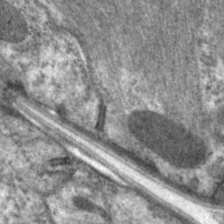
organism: C. elegans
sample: Pharynx